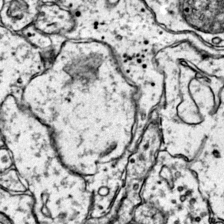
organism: Mouse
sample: Primary visual cortex